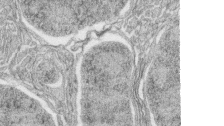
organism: Zebrafish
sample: synaptic ribbons in rod cells and cone cells